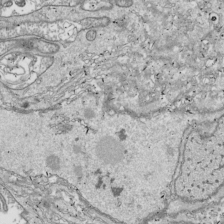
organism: Drosophila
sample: Cell division; meiosis; drosophila spermatocytes